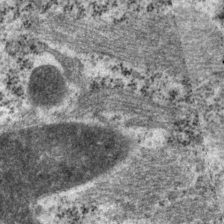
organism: P. pacificus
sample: Pharynx